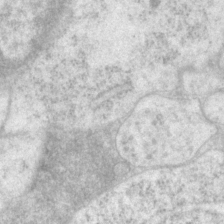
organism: P. pacificus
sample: Pharynx